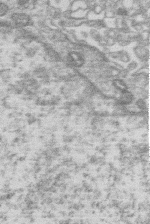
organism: Human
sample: Macrophage cells